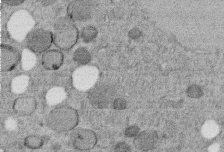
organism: C. elegans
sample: C. elegans embryo early stage